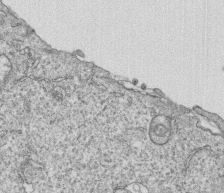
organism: Human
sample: HeLa cell HIV synapse